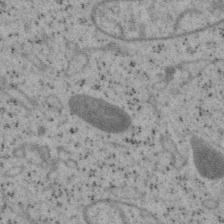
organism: Human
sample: HeLa cells